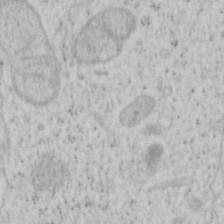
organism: Human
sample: HeLa cells